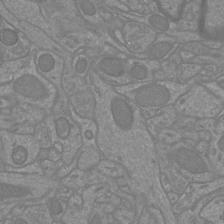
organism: Mouse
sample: Cortical neurons